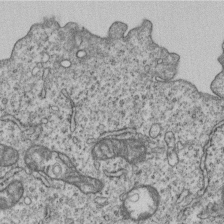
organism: Human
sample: MDA-MB-231 cells